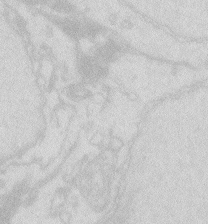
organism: Zebrafish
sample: Macrophage